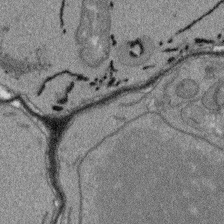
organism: Arabidopsis thaliana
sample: Root tip